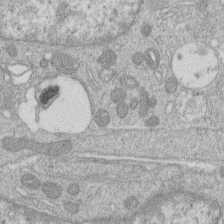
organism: Human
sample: Macrophage cells